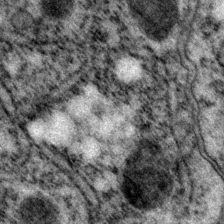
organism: P. pacificus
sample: Pharynx